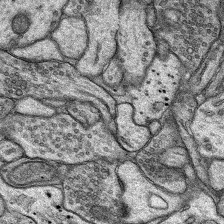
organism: Rat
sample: Hippocampus